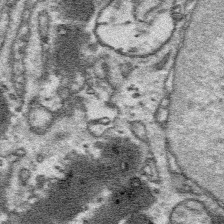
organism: Platynereis dumerilii